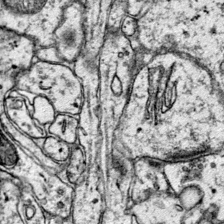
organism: Mouse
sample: Primary visual cortex